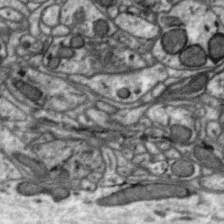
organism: Zebra finch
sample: Brain